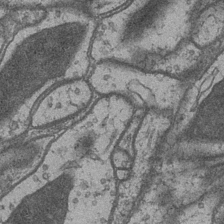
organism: Drosophila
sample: Optic medulla